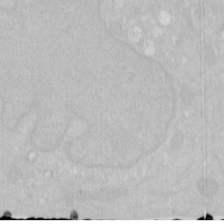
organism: Human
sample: HIV infected U937 cells